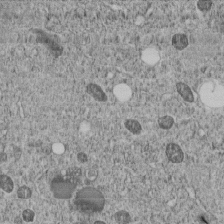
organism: C. elegans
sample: C. elegans embryo early stage